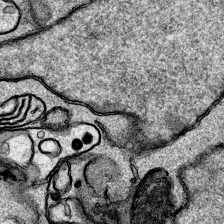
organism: Human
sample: Mitochondria in HCT116 cells